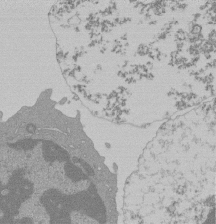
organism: Mouse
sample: Activated Pmel transgenic CD8+ T Cells